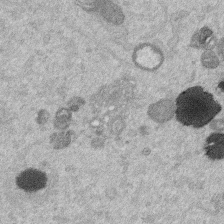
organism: Mouse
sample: Dividing mouse embryo 1 cell stage